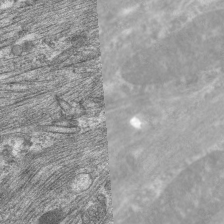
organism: C. elegans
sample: Pharynx